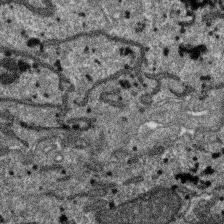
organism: Human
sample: Lung epithelial cells infected with SARS-CoV-2